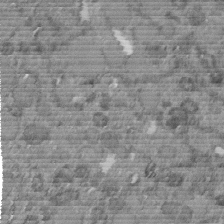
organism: C. elegans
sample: C. elegans embryo early stage